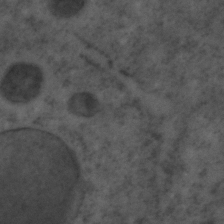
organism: C. elegans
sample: C. elegans embryo